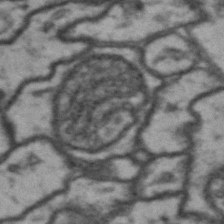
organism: Drosophila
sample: Brain